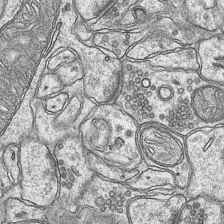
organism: Mouse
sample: CA1 Hippocampus